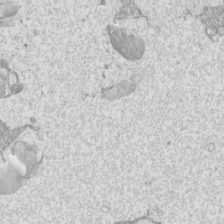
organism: Mouse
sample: Cilia; mouse epididymis